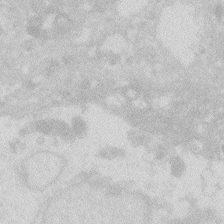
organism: Zebrafish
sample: Macrophage